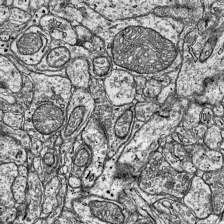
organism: Mouse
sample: Visual Cortex